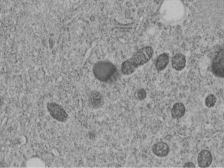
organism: C. elegans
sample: C. elegans embryo early stage